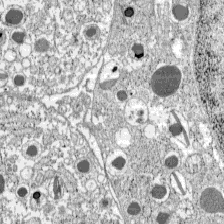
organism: C57BL Mouse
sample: Pancreatic islet